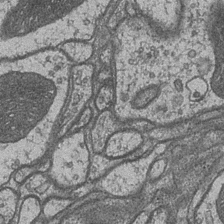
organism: Drosophila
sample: Optic medulla